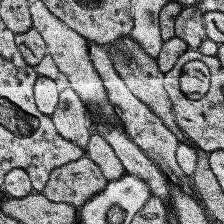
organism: Human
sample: Temporal Lobe